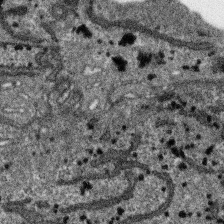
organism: Human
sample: Lung epithelial cells infected with SARS-CoV-2